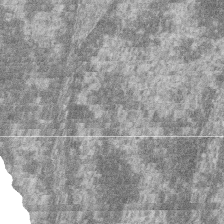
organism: Zebrafish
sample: Cilia; retinal pigment epithelium